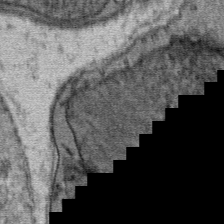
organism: Mouse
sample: Mouse Salivary gland